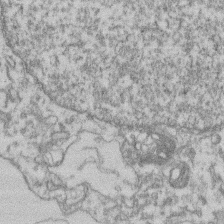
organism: Mouse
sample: T cell stromal cell synapse